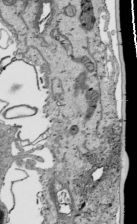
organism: Human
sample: Mitochondria in HCT116 cells